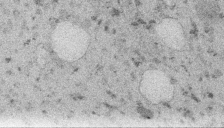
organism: Embia sp.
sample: Silk gland